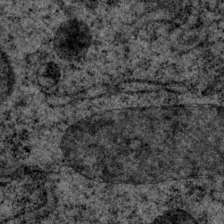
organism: P. pacificus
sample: Pharynx